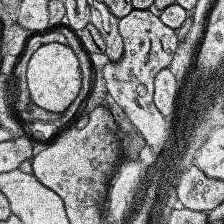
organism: Human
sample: Temporal Lobe